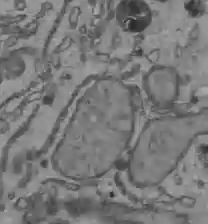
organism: C57BL Mouse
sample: Liver